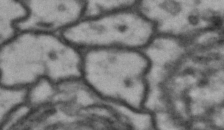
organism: Drosophila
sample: Brain